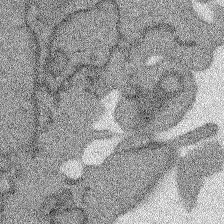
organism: Human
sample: HeLa cells